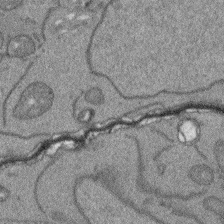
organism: Arabidopsis thaliana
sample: Root tip